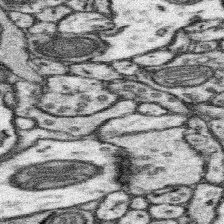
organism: Mouse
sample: Somatosensory cortex neuropil